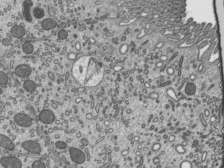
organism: Mouse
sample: Mouse epididymis efferent ductule cilia